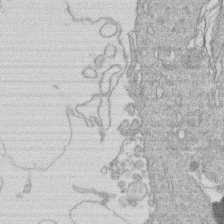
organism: Human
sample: Macrophage cells